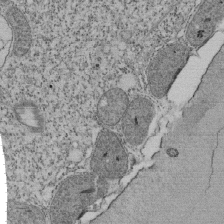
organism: Tetrahymena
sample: Cilia in tetrahymena